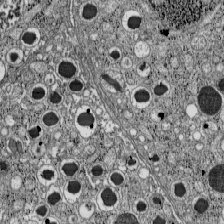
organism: C57BL Mouse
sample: Pancreatic islet